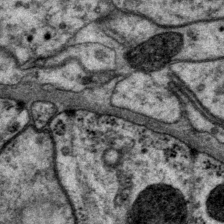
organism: P. pacificus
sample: Pharynx